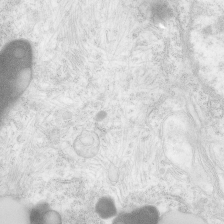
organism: Human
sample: Neocortex